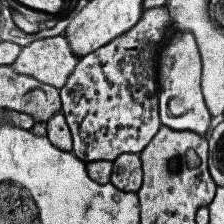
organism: Human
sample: Temporal Lobe